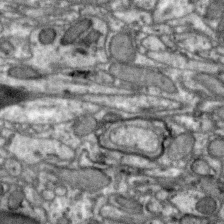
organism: Zebra finch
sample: Brain